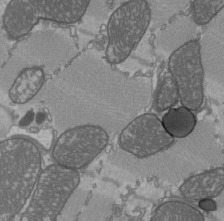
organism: C57BL Mouse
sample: Heart